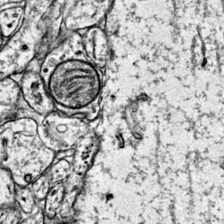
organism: Mouse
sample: Primary visual cortex